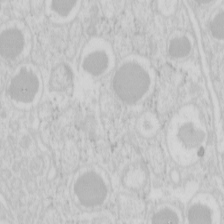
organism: Mouse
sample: Pancreas